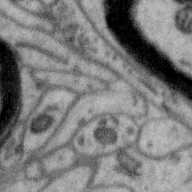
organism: Zebra finch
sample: Brain